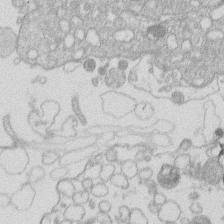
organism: Human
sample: Macrophage cells